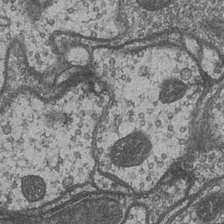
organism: Drosophila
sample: Optic medulla